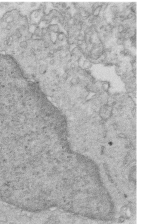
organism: Mouse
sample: Multiciliated cells